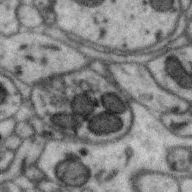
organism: Zebra finch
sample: Brain